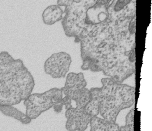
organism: Human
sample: MDA-MB-231 cells